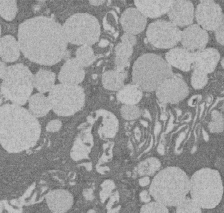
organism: Rat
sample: Salivary granule